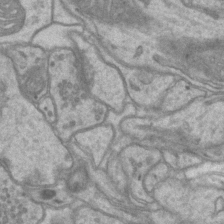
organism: Mouse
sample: CA1 Hippocampus